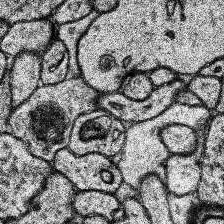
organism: Human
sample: Temporal Lobe